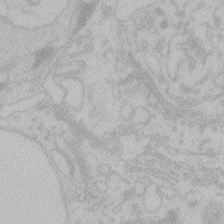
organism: Zebrafish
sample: Macrophage infected with Toxoplasma gondii